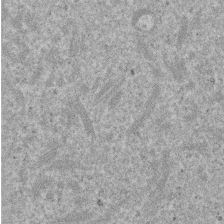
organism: Mouse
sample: Dividing mouse embryo 1 cell stage